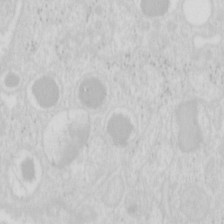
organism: Mouse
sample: Pancreas